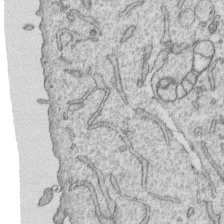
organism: Human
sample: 1205lu cells